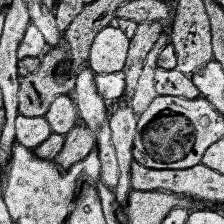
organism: Human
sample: Temporal Lobe